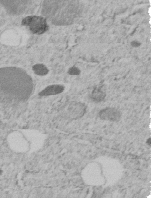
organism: C. elegans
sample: C. elegans embryo early stage